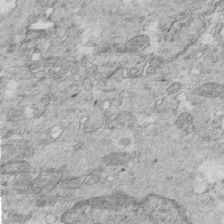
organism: Mouse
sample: Multiciliated cells